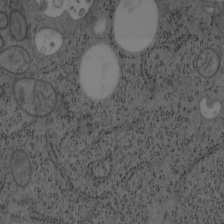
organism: Mouse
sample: OT-I killer T cells with ID8 ovarian cancer cells